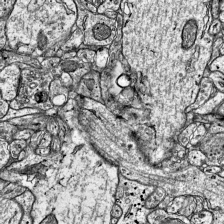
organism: Mouse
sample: Visual Cortex